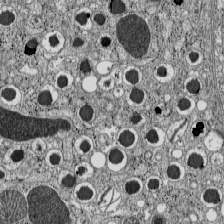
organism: C57BL Mouse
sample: Pancreatic islet